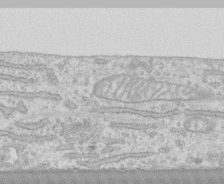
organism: Human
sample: CRL-1474